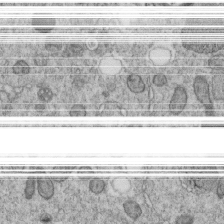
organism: C. elegans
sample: C. elegans embryo early stage